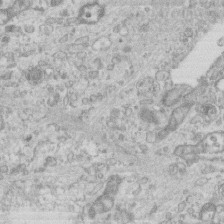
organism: Mouse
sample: Centriole in ependymal cells